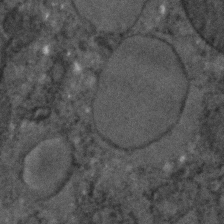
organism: C. elegans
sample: C. elegans embryo